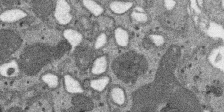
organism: Human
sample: Lung epithelial cells infected with SARS-CoV-2